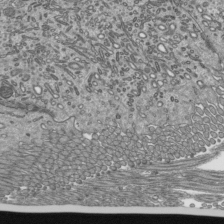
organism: Mouse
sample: Mouse epididymis efferent ductule cilia